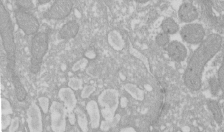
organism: Xenopus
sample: Cilia; centrioles in frog embryo cells